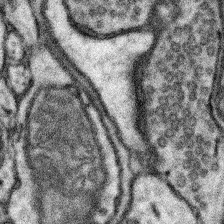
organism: Mouse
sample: Somatosensory cortex neuropil